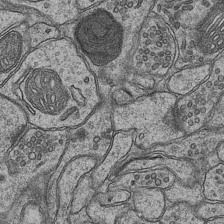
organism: Mouse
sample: CA1 Hippocampus